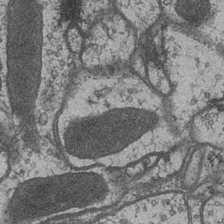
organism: Drosophila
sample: Optic medulla